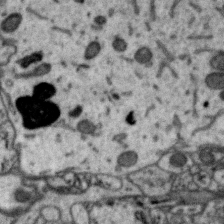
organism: Zebra finch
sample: Brain